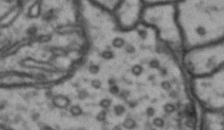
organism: Drosophila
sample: Brain